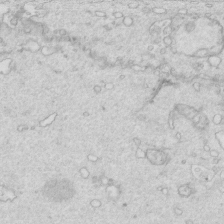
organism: Mouse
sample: Multiciliated cells